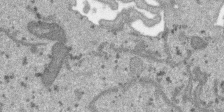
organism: Human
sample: Lung epithelial cells infected with SARS-CoV-2